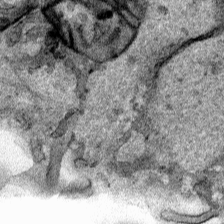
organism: Human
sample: Mitochondria in HCT116 cells